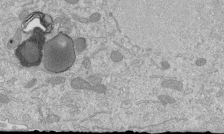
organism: Mouse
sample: ED-1 cell nuclei; centrioles